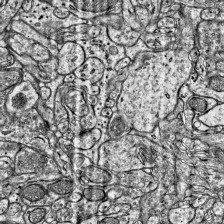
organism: Mouse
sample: Visual Cortex